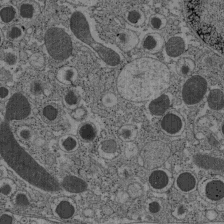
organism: C57BL Mouse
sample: Pancreatic islet